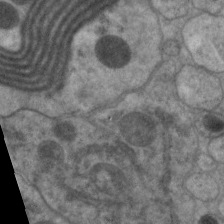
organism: C. elegans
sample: Pharynx